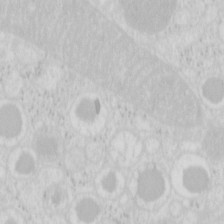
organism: Mouse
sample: Pancreas